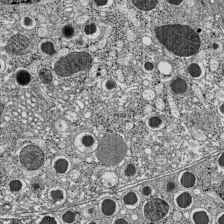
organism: C57BL Mouse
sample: Pancreatic islet